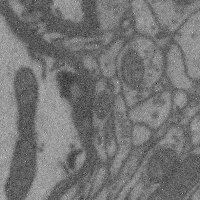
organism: Mouse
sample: Cerebral cortex